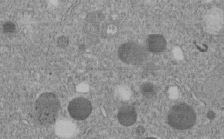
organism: C. elegans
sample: C. elegans embryo early stage